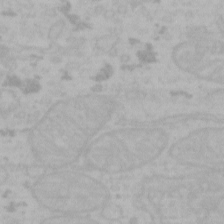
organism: Mouse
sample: Choroid plexus